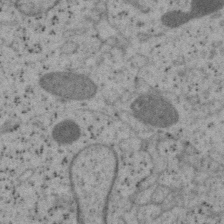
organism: Human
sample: HeLa cells